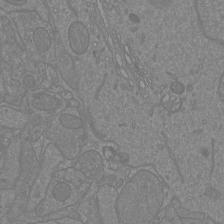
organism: Mouse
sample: Cortical neurons